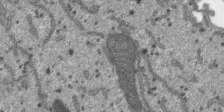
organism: Human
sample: Lung epithelial cells infected with SARS-CoV-2